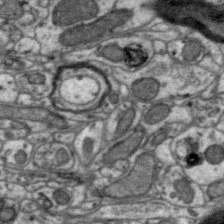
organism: Zebra finch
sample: Brain